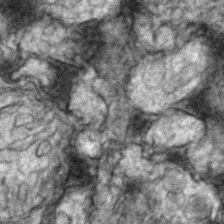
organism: Zebrafish